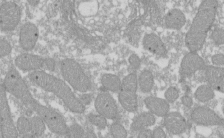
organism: Xenopus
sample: Cilia; centrioles in frog embryo cells